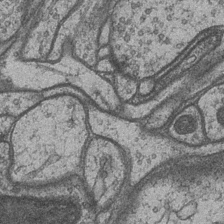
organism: Drosophila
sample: Optic medulla